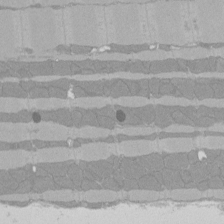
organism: Rat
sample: Left ventricle